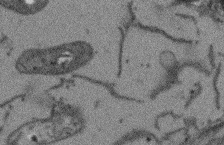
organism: Arabidopsis thaliana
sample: Root tip